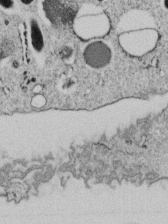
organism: C. elegans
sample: C. elegans embryo early stage